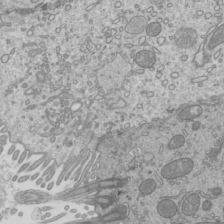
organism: Mouse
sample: Cilia; mouse epididymis